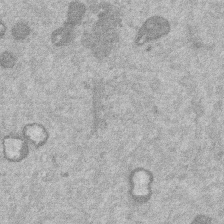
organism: Mouse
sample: Dividing mouse embryo 1 cell stage